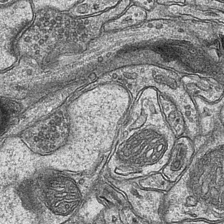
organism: Mouse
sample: CA1 Hippocampus